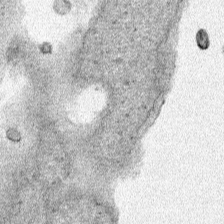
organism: Human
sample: Mitochondria in HCT116 cells